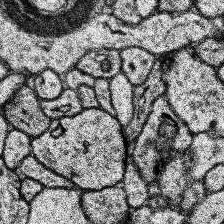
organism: Human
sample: Temporal Lobe